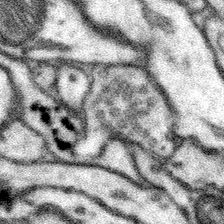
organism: Mouse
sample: Somatosensory cortex neuropil